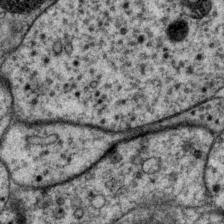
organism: P. pacificus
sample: Pharynx